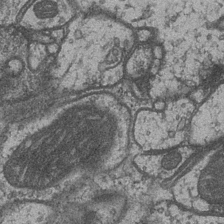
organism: Drosophila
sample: Optic medulla